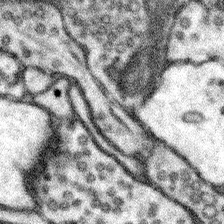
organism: Mouse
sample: Somatosensory cortex neuropil